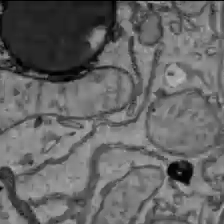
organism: C57BL Mouse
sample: Liver